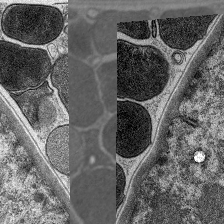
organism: C. elegans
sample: Pharynx